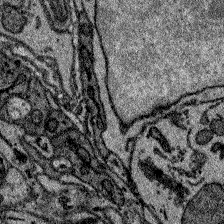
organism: Zebrafish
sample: Larval olfactory bulb